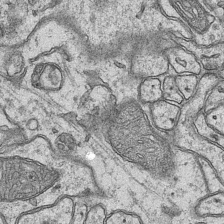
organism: Mouse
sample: CA1 Hippocampus